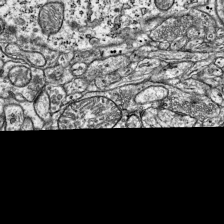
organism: Mouse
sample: Visual Cortex